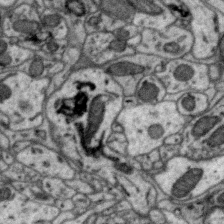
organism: Zebra finch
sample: Brain